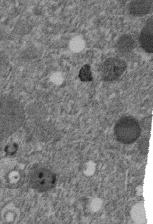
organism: C. elegans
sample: C. elegans embryo early stage